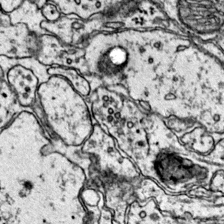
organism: Mouse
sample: Primary visual cortex